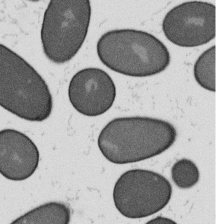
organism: B. subtilis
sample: Bacterial spore